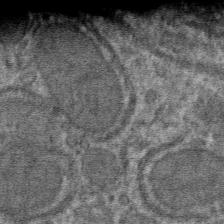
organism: Mouse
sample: Mouse hepatocytes